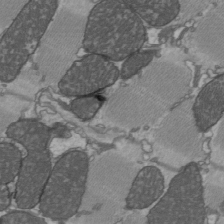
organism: C57BL Mouse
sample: Heart